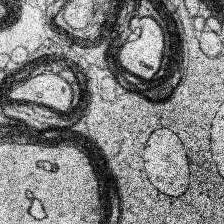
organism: Human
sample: Temporal Lobe